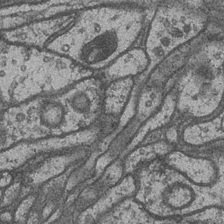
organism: Drosophila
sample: Optic medulla